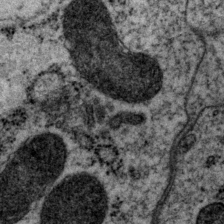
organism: P. pacificus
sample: Pharynx